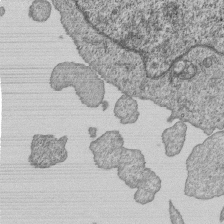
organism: Human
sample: MDA-MB-231 cells